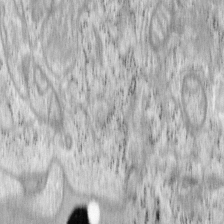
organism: Human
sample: HeLa cells